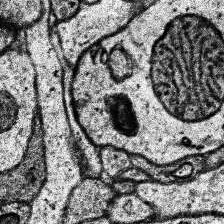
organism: Human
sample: Temporal Lobe